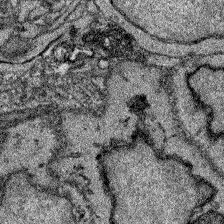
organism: Zebrafish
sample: Larval olfactory bulb